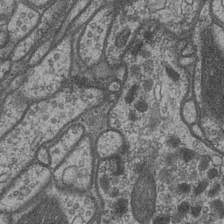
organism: Drosophila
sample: Optic medulla